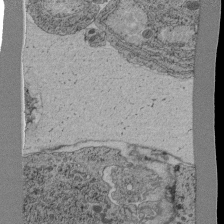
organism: C. elegans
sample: C. elegans pharynx